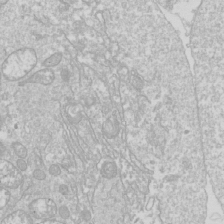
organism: Drosophila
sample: Cell division; meiosis; drosophila spermatocytes